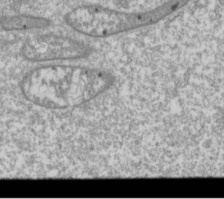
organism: Drosophila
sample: Cell division; meiosis; drosophila spermatocytes